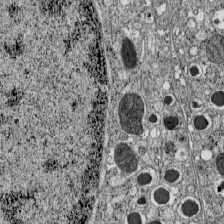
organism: C57BL Mouse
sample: Pancreatic islet